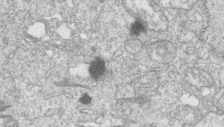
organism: Human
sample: HeLa cell HIV synapse